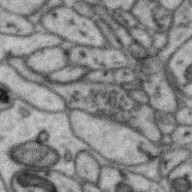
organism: Zebra finch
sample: Brain